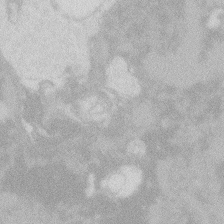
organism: Zebrafish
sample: Macrophage